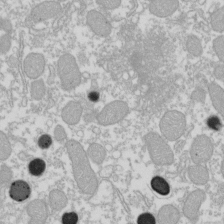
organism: Xenopus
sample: Cilia; centrioles in frog embryo cells